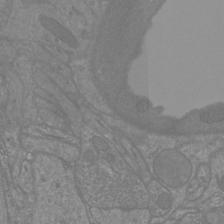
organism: Mouse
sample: Cortical neurons